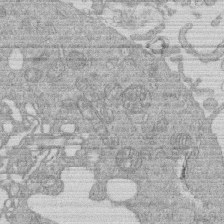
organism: Human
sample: Macrophage cells